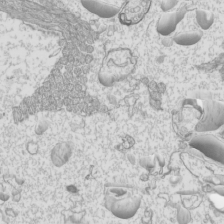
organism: Mouse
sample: Cilia; mouse epididymis